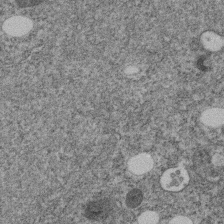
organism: C. elegans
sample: C. elegans embryo early stage